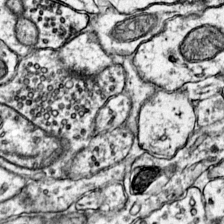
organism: Mouse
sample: Primary visual cortex